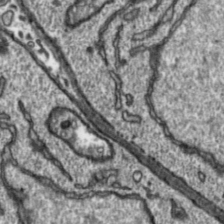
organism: Toxoplasma gondii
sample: Parasites in a vacuole inside a host cell